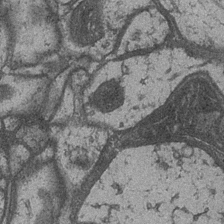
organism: Drosophila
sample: Optic medulla